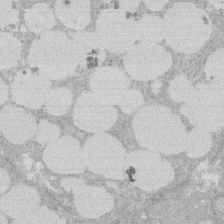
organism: Rat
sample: Salivary granule